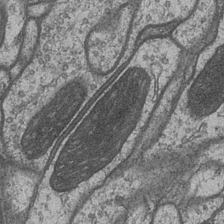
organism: Drosophila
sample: Optic medulla